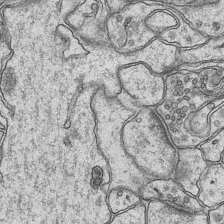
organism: Mouse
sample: CA1 Hippocampus